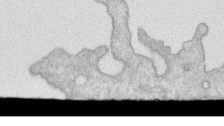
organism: Human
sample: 1205lu cells